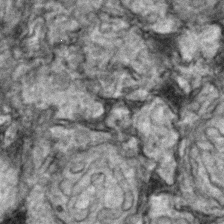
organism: Zebrafish